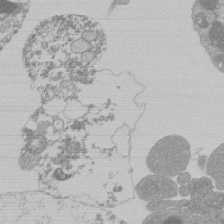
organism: Mouse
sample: Activated Pmel transgenic CD8+ T Cells